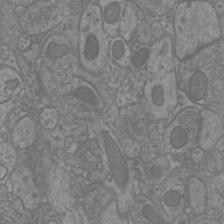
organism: Mouse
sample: Cortical neurons